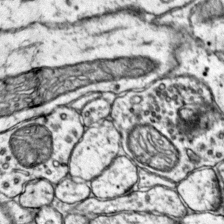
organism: Mouse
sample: Primary visual cortex